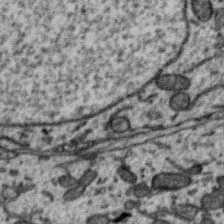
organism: Zebra finch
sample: Brain